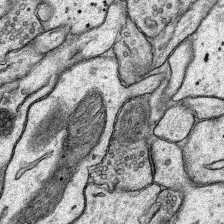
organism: Rat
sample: Hippocampus